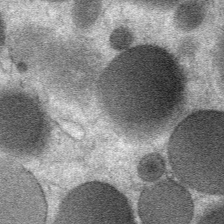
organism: Mouse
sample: Mouse Salivary gland